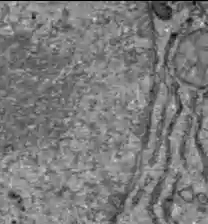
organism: C57BL Mouse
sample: Liver